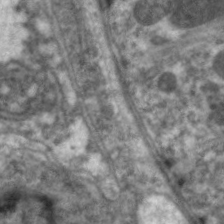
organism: C. elegans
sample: Pharynx